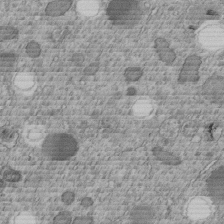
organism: C. elegans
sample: C. elegans embryo early stage